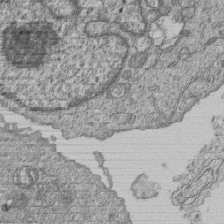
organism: Human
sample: MDA-MB-231 cells